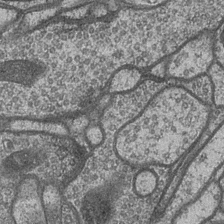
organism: Drosophila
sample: Optic medulla